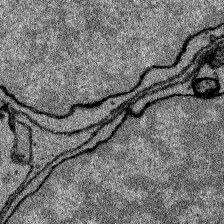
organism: Zebrafish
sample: Larval olfactory bulb